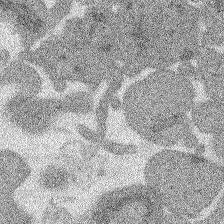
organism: Human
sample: HeLa cells